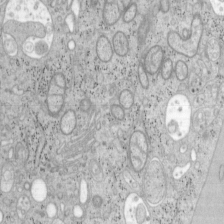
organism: Mouse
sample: OT-I killer T cells with ID8 ovarian cancer cells